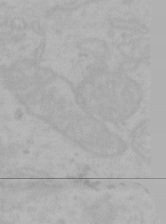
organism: Mouse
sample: Choroid plexus